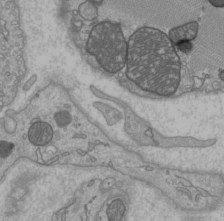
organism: C57BL Mouse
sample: Heart